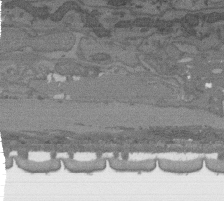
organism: C. elegans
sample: AFD neurons C. elegans